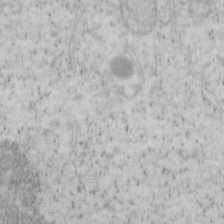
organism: Human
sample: HeLa cells